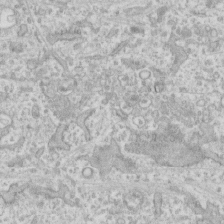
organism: Human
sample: CRL-1474